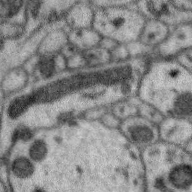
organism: Zebra finch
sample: Brain